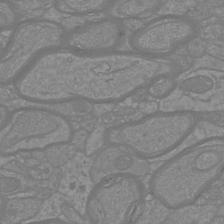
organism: Mouse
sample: Cortical neurons